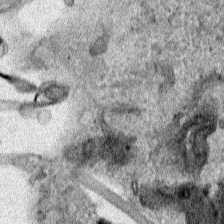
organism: Human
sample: Mitochondria in HCT116 cells